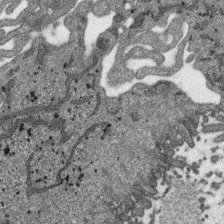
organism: Human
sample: Lung epithelial cells infected with SARS-CoV-2